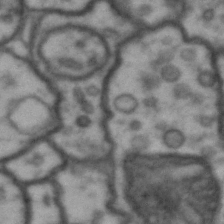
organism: Drosophila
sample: Brain